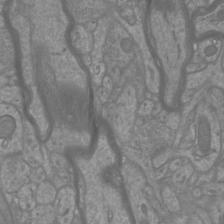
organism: Mouse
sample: Cortical neurons